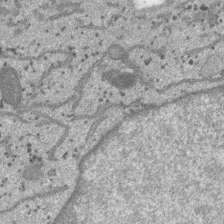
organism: Human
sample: Lung epithelial cells infected with SARS-CoV-2